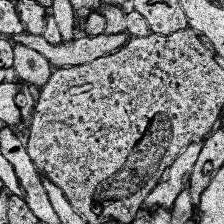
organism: Human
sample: Temporal Lobe